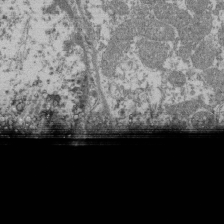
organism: Mouse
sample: Glomerulus